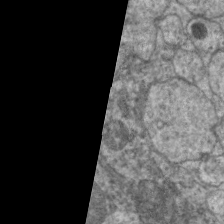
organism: C. elegans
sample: Pharynx